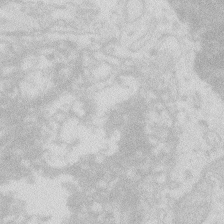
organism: Zebrafish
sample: Macrophage